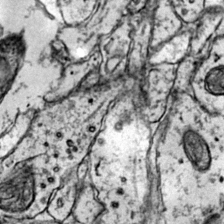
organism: Mouse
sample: Primary visual cortex